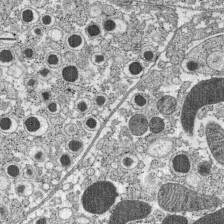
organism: C57BL Mouse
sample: Pancreatic islet